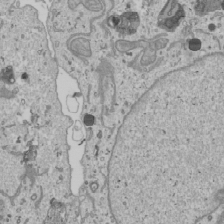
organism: Human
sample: Mitochondria in U2OS cells